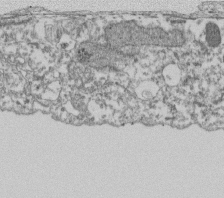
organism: Dictyostelium discoideum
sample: Dictyostelium multivesicular bodies